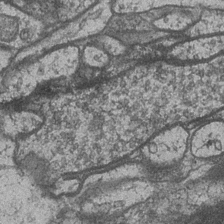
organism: Drosophila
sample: Optic medulla